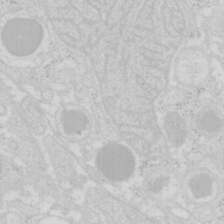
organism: Mouse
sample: Pancreas